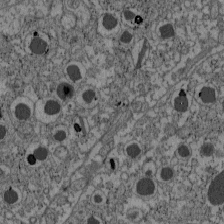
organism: C57BL Mouse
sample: Pancreatic islet